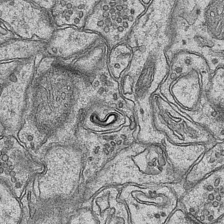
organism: Mouse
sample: CA1 Hippocampus